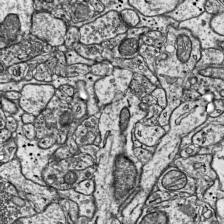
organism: Mouse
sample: Visual Cortex